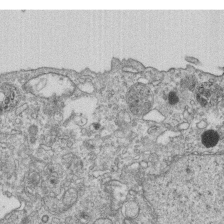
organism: Human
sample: HeLa cell HIV synapse